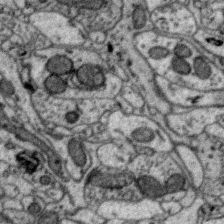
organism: Zebra finch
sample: Brain